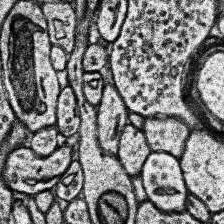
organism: Human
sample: Temporal Lobe